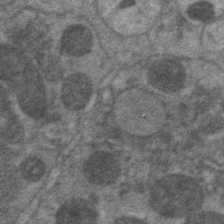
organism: C. elegans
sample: Pharynx